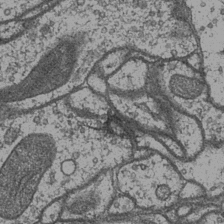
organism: Drosophila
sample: Optic medulla